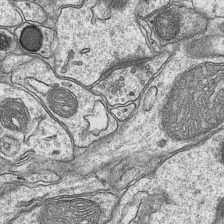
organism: Mouse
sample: CA1 Hippocampus